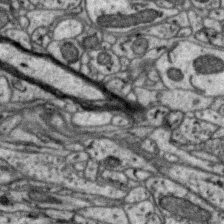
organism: Zebra finch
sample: Brain